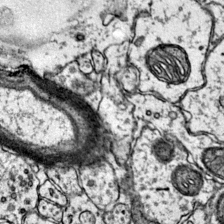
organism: Mouse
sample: Primary visual cortex